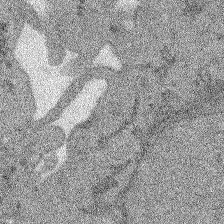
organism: Human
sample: HeLa cells